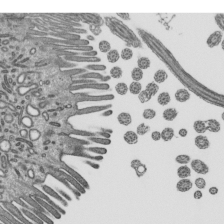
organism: Mouse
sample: Mouse epididymis efferent ductule cilia